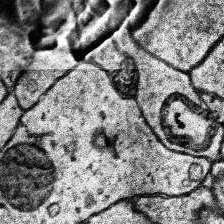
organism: Human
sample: Temporal Lobe